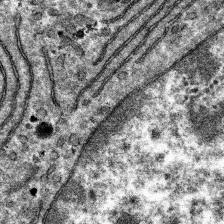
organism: Mouse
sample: Mouse hepatocytes